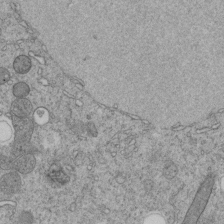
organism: C. elegans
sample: C. elegans embryo early stage